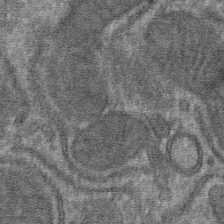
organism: Mouse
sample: Mouse hepatocytes